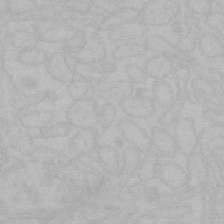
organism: Mouse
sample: Choroid plexus